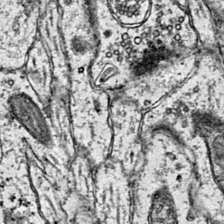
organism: Mouse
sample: Primary visual cortex